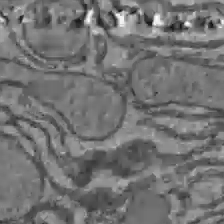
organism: C57BL Mouse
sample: Liver